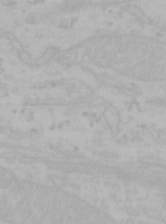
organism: Mouse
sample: Choroid plexus